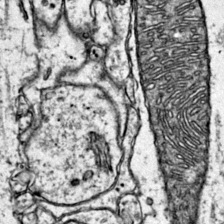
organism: Mouse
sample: Primary visual cortex